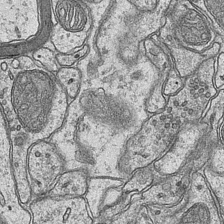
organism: Mouse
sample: CA1 Hippocampus